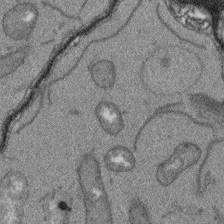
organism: Arabidopsis thaliana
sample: Root tip